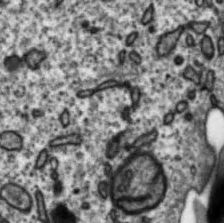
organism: Human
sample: HeLa cells